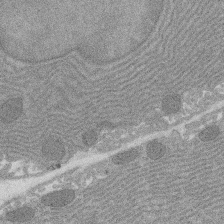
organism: Rat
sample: Salivary granule